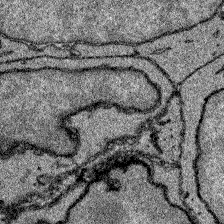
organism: Zebrafish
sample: Larval olfactory bulb